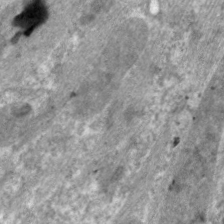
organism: C. elegans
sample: Pharynx